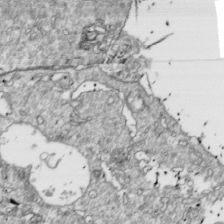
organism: Drosophila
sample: Cell division; meiosis; drosophila spermatocytes